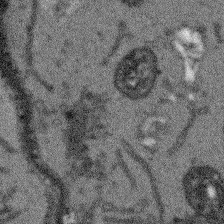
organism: Arabidopsis thaliana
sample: Root tip